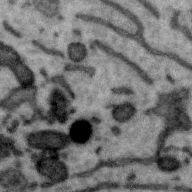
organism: Zebra finch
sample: Brain